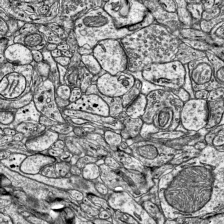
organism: Mouse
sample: Visual Cortex